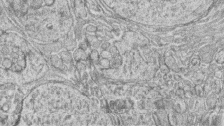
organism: Zebrafish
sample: synaptic ribbons in rod cells and cone cells